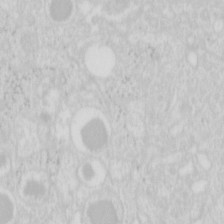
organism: Mouse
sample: Pancreas